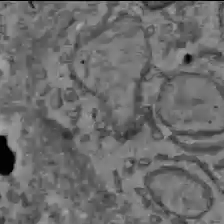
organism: C57BL Mouse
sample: Liver